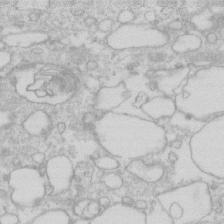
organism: Human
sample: Fibroblast cells